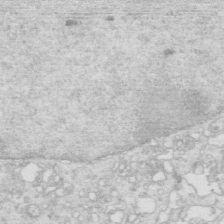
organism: Mouse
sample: Multiciliated cells